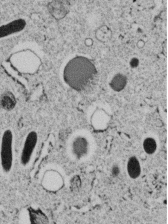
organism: C. elegans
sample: C. elegans embryo early stage